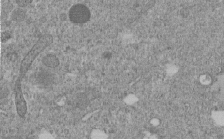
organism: C. elegans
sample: C. elegans embryo early stage